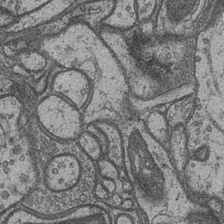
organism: Drosophila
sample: Optic medulla